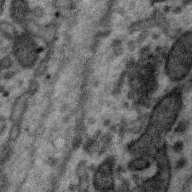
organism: Zebra finch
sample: Brain